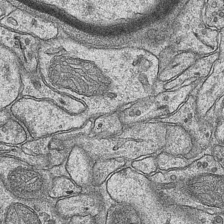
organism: Mouse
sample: CA1 Hippocampus